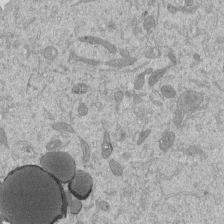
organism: Mouse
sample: ED-1 cell nuclei; centrioles